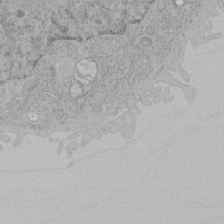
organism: Human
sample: Mitochondria in HCT116 cells